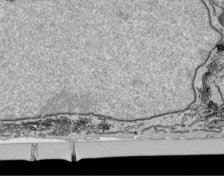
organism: Human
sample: Mitochondria in HCT116 cells